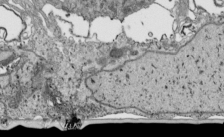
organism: Human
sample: Mitochondria in HCT116 cells